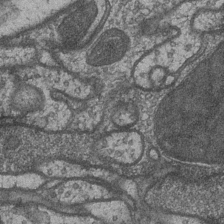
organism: Drosophila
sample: Optic medulla